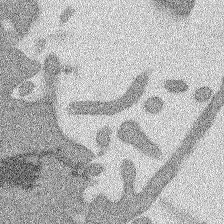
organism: Human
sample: HeLa cells